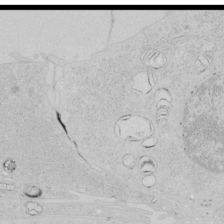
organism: Human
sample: Mitochondria in HCT116 cells